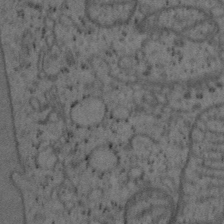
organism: Human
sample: HeLa cells